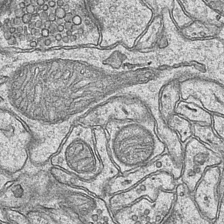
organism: Mouse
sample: CA1 Hippocampus